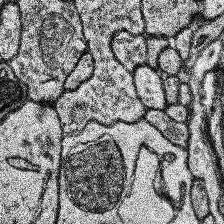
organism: Human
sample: Temporal Lobe